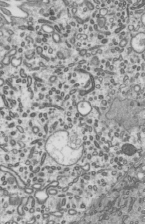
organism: Mouse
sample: Mouse epididymis efferent ductule cilia